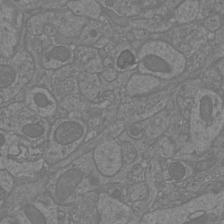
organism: Mouse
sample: Cortical neurons